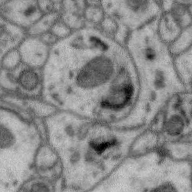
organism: Zebra finch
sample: Brain